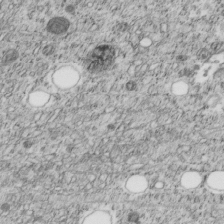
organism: C. elegans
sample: C. elegans embryo early stage